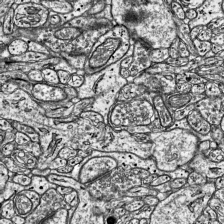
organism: Mouse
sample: Visual Cortex